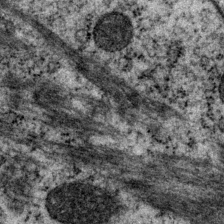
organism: P. pacificus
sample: Pharynx